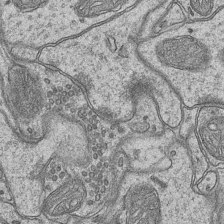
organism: Mouse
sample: CA1 Hippocampus